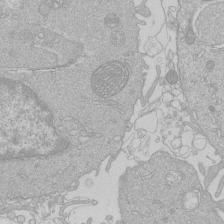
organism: Human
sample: Macrophage cells